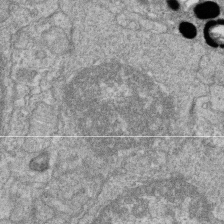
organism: Zebrafish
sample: Cilia; retinal pigment epithelium